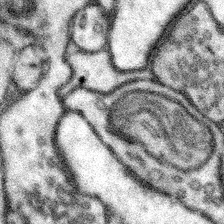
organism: Mouse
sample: Somatosensory cortex neuropil